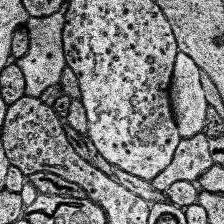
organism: Human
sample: Temporal Lobe